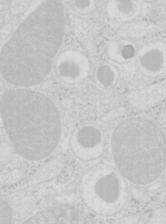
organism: Mouse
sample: Pancreas